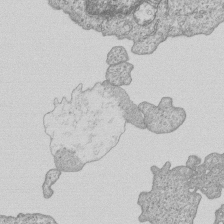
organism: Human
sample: MDA-MB-231 cells